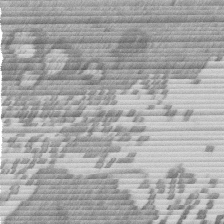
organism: Mouse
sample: Dividing mouse embryo 1 cell stage